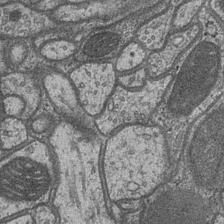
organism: Drosophila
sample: Optic medulla